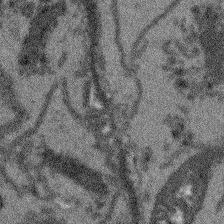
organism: Arabidopsis thaliana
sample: Root tip